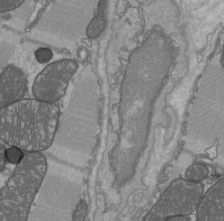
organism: C57BL Mouse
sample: Heart